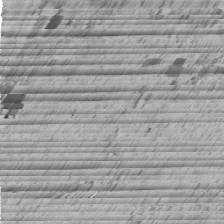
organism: C. elegans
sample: C. elegans embryo early stage